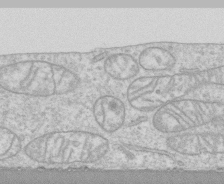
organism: Human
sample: CRL-1474